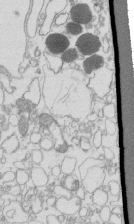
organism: Mouse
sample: Macrophages